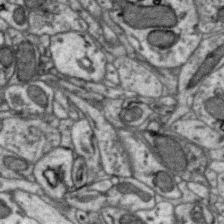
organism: Zebra finch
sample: Brain